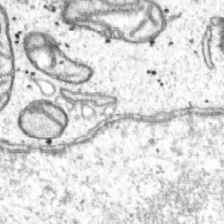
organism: Human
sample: HeLa cells